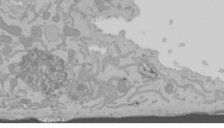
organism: Mouse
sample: Cancer cell death in ED-1 cells